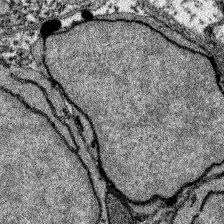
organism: Zebrafish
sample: Larval olfactory bulb